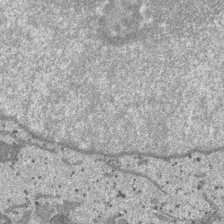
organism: Human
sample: Lung epithelial cells infected with SARS-CoV-2